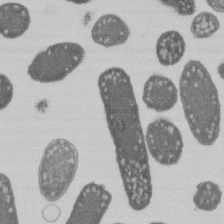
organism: E. coli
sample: Bacterial nucleoid